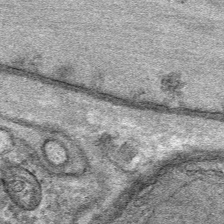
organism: Mouse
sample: Mouse Salivary gland